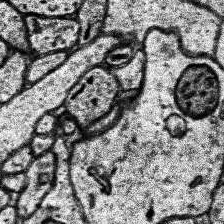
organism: Human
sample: Temporal Lobe